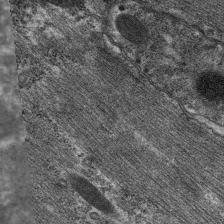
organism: C. elegans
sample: Pharynx